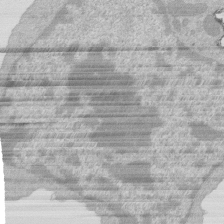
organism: Mouse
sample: Activated Pmel transgenic CD8+ T Cells